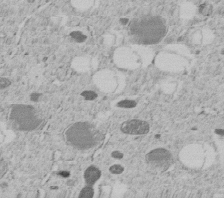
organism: C. elegans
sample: C. elegans embryo early stage